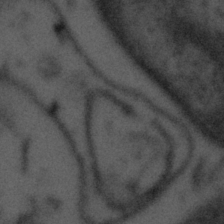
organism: Tuwongella immobilis